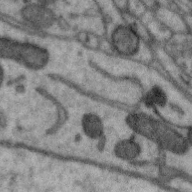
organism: Zebra finch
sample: Brain